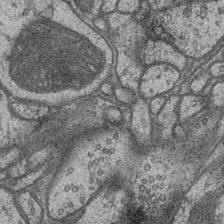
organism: Drosophila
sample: Optic medulla